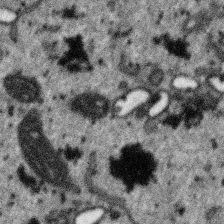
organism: Human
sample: Lung epithelial cells infected with SARS-CoV-2